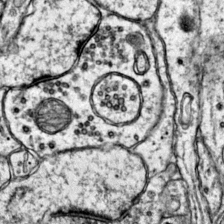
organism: Mouse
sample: Primary visual cortex